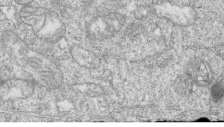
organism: Human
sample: HeLa cell HIV synapse